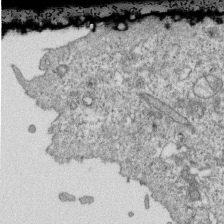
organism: Human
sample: HeLa cell HIV synapse